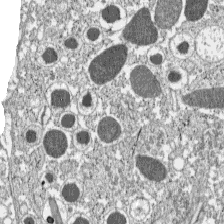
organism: C57BL Mouse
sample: Pancreatic islet